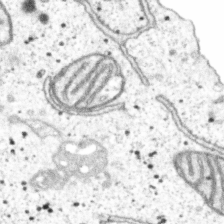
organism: Human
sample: HeLa cells